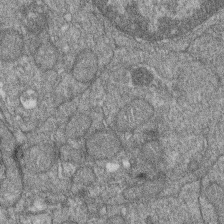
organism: Zebrafish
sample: Cilia; retinal pigment epithelium